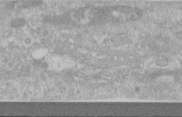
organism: Human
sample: Centriole in RPE cells